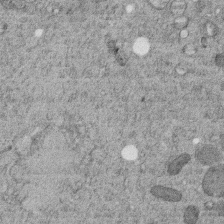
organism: C. elegans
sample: C. elegans embryo early stage